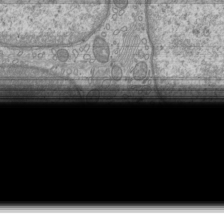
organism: Mouse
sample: Cilia; mouse epididymis